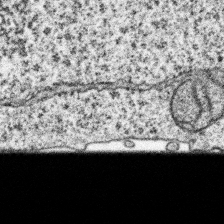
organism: Human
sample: HeLa cells